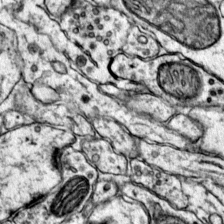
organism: Mouse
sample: Primary visual cortex